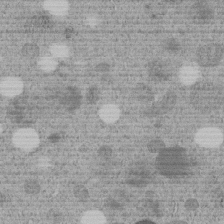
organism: C. elegans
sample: C. elegans embryo early stage